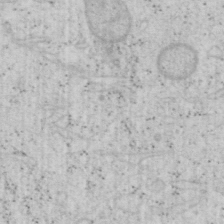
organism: Human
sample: HeLa cells